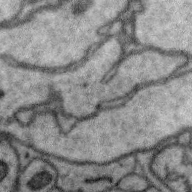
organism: Zebra finch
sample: Brain